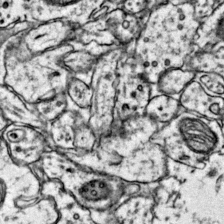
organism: Mouse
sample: Primary visual cortex